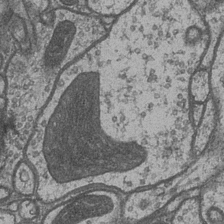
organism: Drosophila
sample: Optic medulla